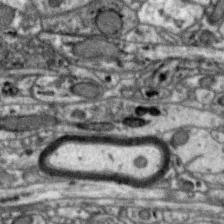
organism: Zebra finch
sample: Brain